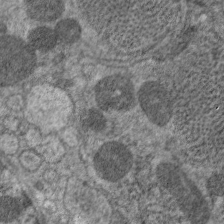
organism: C. elegans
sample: Pharynx